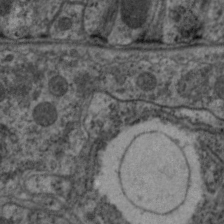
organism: C. elegans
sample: Pharynx